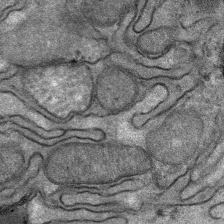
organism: Mouse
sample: Mouse Salivary gland